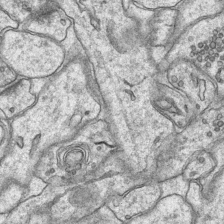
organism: Mouse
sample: CA1 Hippocampus